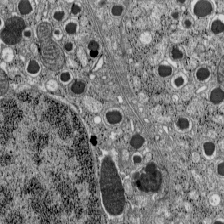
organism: C57BL Mouse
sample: Pancreatic islet